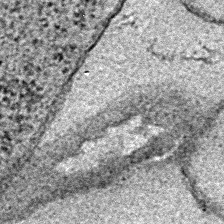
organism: E. coli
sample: E. Coli Bacteria